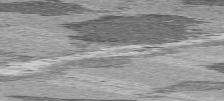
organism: C57BL Mouse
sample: Heart